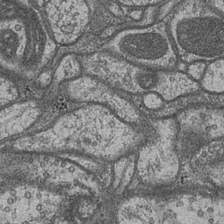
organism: Drosophila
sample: Optic medulla